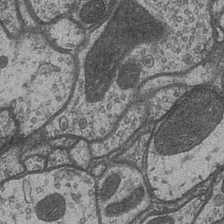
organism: Drosophila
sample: Optic medulla